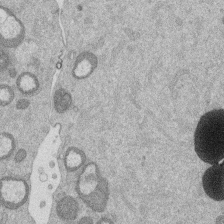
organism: Mouse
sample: Dividing mouse embryo 1 cell stage